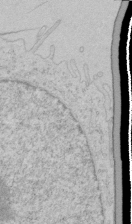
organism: Human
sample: Mitochondria in HCT116 cells